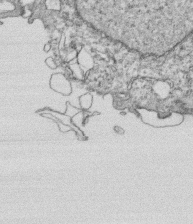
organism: Human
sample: HeLa cell HIV synapse